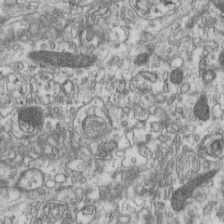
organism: Mouse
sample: Centriole in ependymal cells